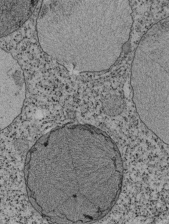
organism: Tetrahymena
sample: Cilia in tetrahymena